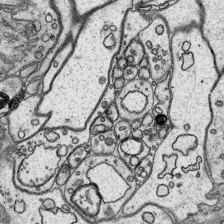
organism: Platynereis dumerilii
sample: Parapodia